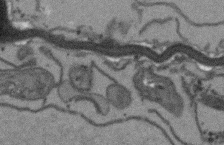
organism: Arabidopsis thaliana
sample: Root tip